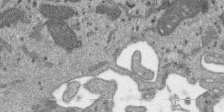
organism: Human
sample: Lung epithelial cells infected with SARS-CoV-2